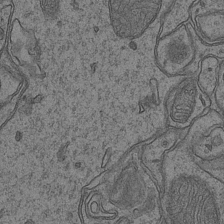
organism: Mouse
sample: CA1 Hippocampus